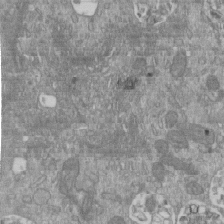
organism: Mouse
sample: ED-1 cell nuclei; centrioles